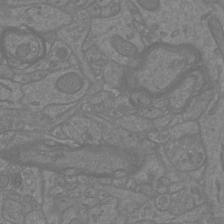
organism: Mouse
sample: Cortical neurons